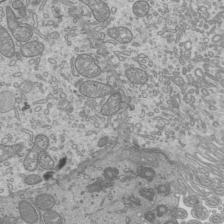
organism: Mouse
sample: Cilia; mouse epididymis